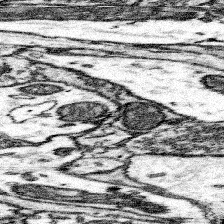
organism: Mouse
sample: Somatosensory cortex neuropil